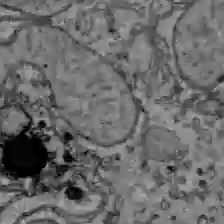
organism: C57BL Mouse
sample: Liver